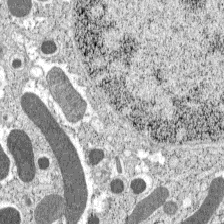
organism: C57BL Mouse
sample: Pancreatic islet